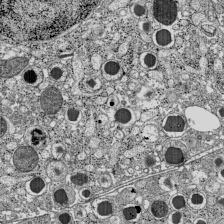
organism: C57BL Mouse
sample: Pancreatic islet